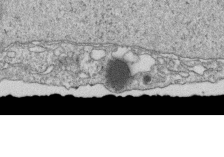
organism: Human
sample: HeLa cell HIV synapse